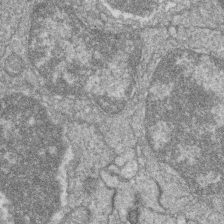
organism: Zebrafish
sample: Cilia; retinal pigment epithelium